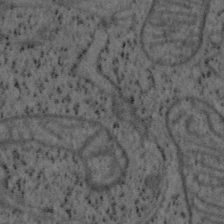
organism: Human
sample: HeLa cells